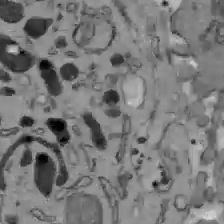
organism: C57BL Mouse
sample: Liver